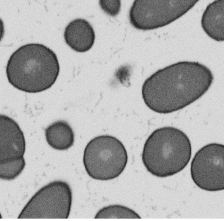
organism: B. subtilis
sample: Bacterial spore